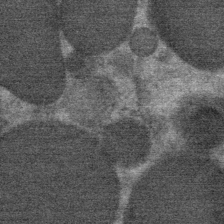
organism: Mouse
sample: Mouse Salivary gland